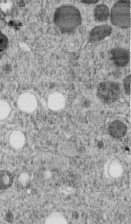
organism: C. elegans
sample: C. elegans embryo early stage